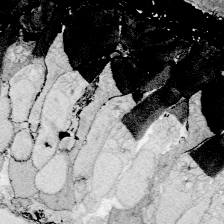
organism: Zebrafish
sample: Whole-Brain